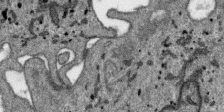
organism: Human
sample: Lung epithelial cells, uninfected (mock) control